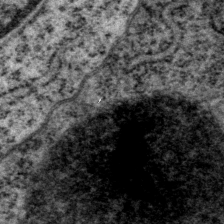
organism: P. pacificus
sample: Pharynx